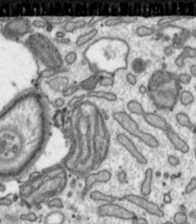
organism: Toxoplasma gondii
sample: Parasites in a vacuole inside a host cell